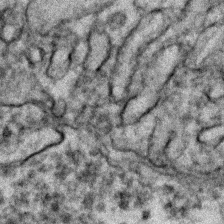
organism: Zebrafish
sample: Zebrafish embryo